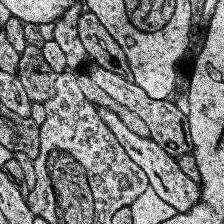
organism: Human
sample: Temporal Lobe